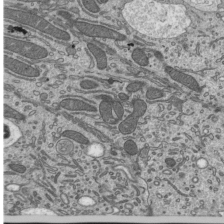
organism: Mouse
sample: Mouse epididymis efferent ductule cilia